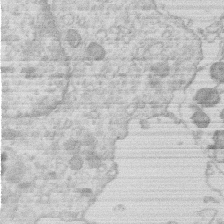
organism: Human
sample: Macrophage cells